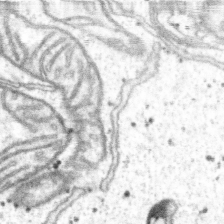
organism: Human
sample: HeLa cells